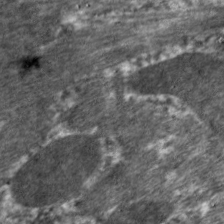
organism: C. elegans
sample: Pharynx